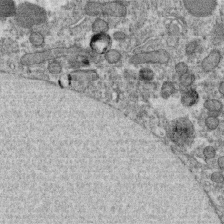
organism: C. elegans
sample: C. elegans oocyte; sperm cells